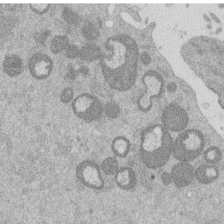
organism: Mouse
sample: Dividing mouse embryo 1 cell stage